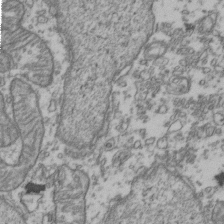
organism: Human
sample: Activated Jurkat CD4+ T cells